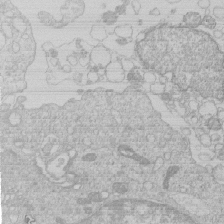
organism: Human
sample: Macrophage cells